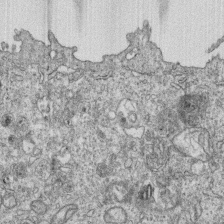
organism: Human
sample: HeLa cell HIV synapse